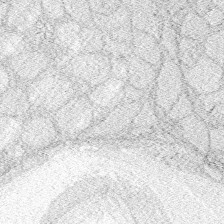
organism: Zebrafish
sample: Whole-Brain